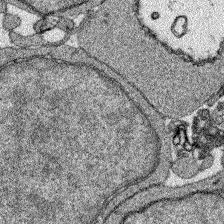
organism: Zebrafish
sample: Larval olfactory bulb